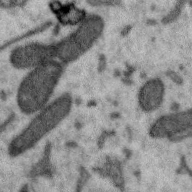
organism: Zebra finch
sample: Brain